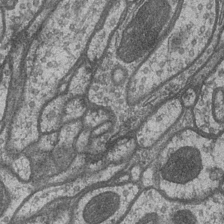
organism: Drosophila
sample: Optic medulla